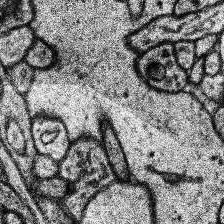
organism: Human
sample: Temporal Lobe